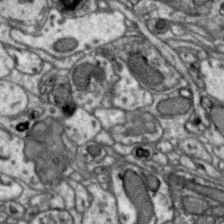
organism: Zebra finch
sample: Brain